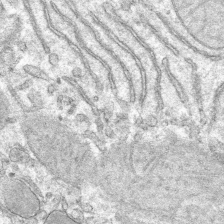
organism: Mouse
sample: Mouse hepatocytes